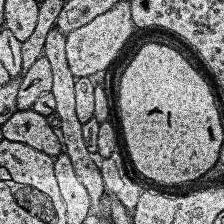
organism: Human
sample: Temporal Lobe